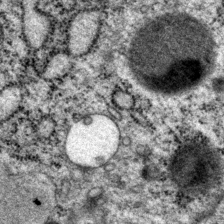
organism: P. pacificus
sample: Pharynx